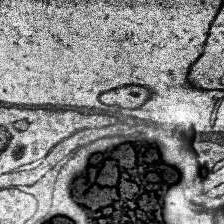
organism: Human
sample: Temporal Lobe